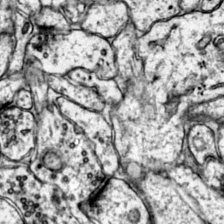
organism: Mouse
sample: Primary visual cortex